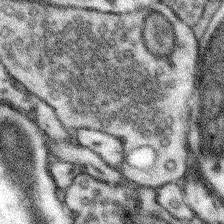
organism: Mouse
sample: Somatosensory cortex neuropil